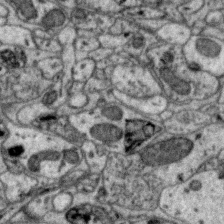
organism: Zebra finch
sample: Brain